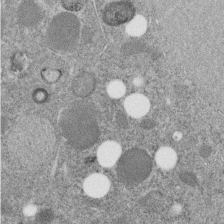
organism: C. elegans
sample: C. elegans embryo early stage